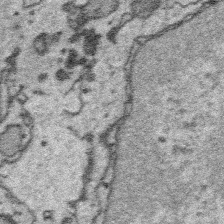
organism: Platynereis dumerilii